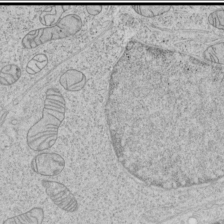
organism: Human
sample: Mitochondria in HCT116 cells